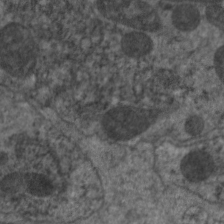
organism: C. elegans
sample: Pharynx